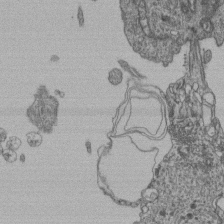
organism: Human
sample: Retinal organoid Rod and Cone cells